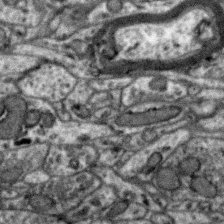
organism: Zebra finch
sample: Brain